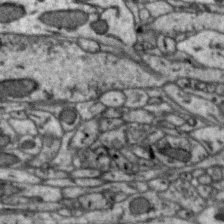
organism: Zebra finch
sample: Brain